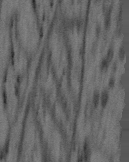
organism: Human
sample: HeLa cells